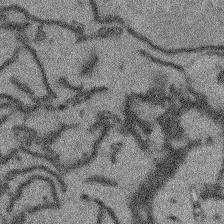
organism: Arabidopsis thaliana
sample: Root tip